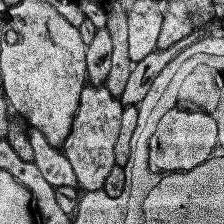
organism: Human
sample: Temporal Lobe